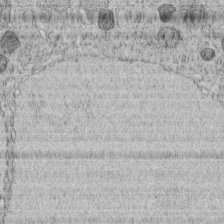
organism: C. elegans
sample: C. elegans embryo early stage